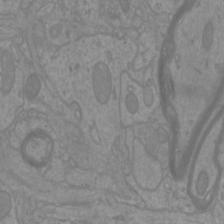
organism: Mouse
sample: Cortical neurons